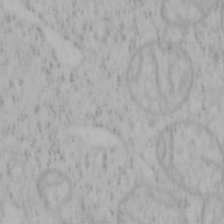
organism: Mouse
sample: OT-I killer T cells with ID8 ovarian cancer cells